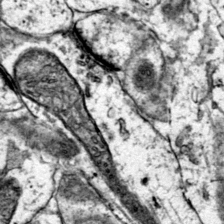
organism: Mouse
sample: Primary visual cortex